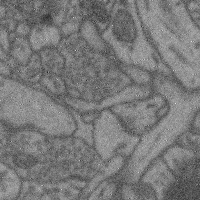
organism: Mouse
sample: Cerebral cortex